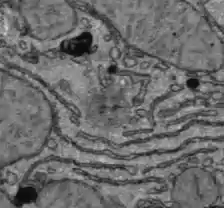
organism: C57BL Mouse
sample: Liver